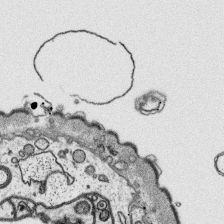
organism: Platynereis dumerilii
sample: Parapodia